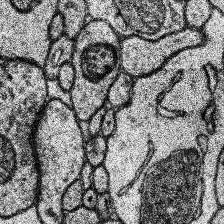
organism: Human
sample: Temporal Lobe